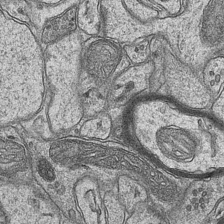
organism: Mouse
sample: CA1 Hippocampus